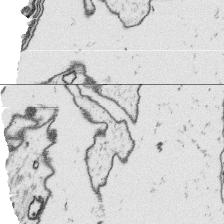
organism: Platynereis dumerilii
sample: Parapodia